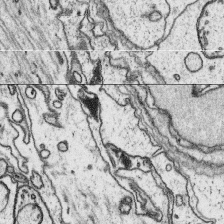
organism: Platynereis dumerilii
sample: Parapodia